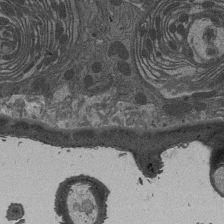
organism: Drosophila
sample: Antenna